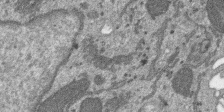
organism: Human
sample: Lung epithelial cells infected with SARS-CoV-2